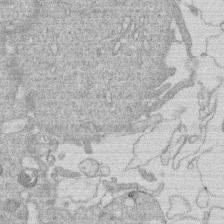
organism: Human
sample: Macrophage cells